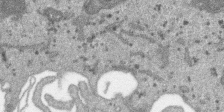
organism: Human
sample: Lung epithelial cells infected with SARS-CoV-2